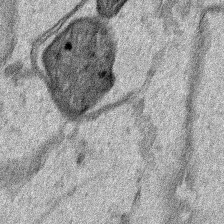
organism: Human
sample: Mitochondria in HCT116 cells